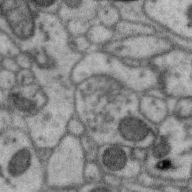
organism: Zebra finch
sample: Brain